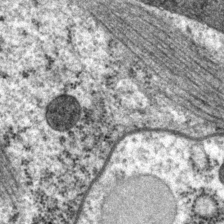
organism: P. pacificus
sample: Pharynx